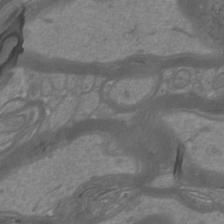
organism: Mouse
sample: Cortical neurons